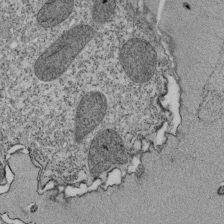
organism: Tetrahymena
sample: Cilia in tetrahymena